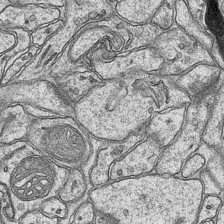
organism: Mouse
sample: CA1 Hippocampus